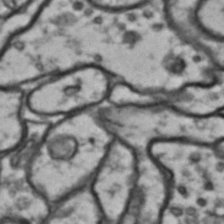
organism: Drosophila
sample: Brain